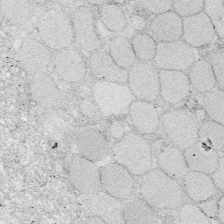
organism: Zebrafish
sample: Whole-Brain